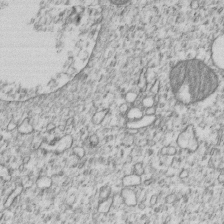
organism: Human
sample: MDA-MB-231 cells